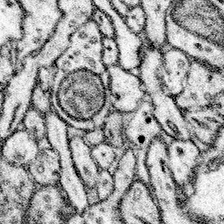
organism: Mouse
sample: Somatosensory cortex neuropil